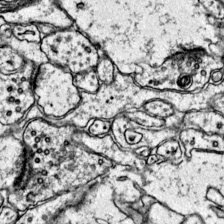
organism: Mouse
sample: Primary visual cortex